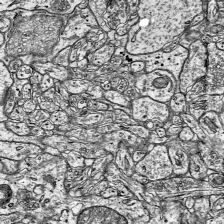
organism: Mouse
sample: Visual Cortex